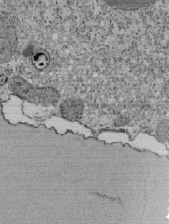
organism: Tetrahymena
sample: Cilia in tetrahymena